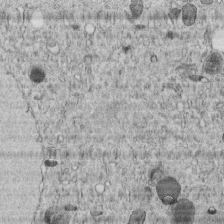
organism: C. elegans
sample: C. elegans embryo early stage